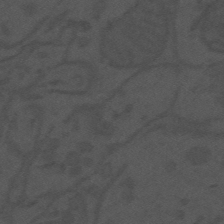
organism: Mouse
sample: Suprachiasmatic nucleus